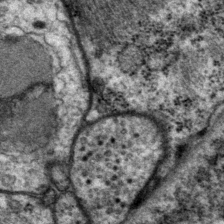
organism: P. pacificus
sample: Pharynx